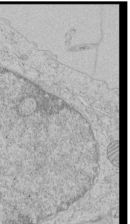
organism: Human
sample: Mitochondria in HCT116 cells